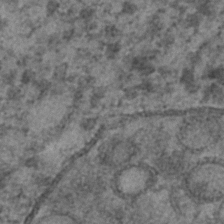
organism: C. elegans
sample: C. elegans embryo